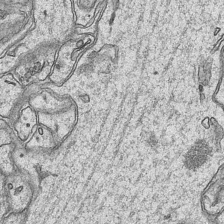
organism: Mouse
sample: CA1 Hippocampus